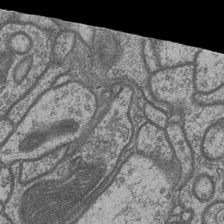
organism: Drosophila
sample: Optic medulla